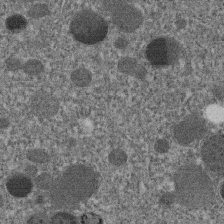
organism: C. elegans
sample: C. elegans embryo early stage